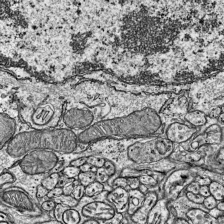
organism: Mouse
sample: Visual Cortex